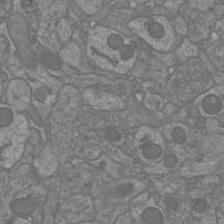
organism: Mouse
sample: Cortical neurons